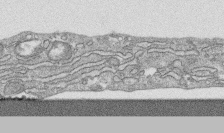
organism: Human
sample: CRL-1474